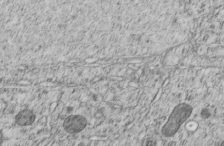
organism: C. elegans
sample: C. elegans embryo early stage